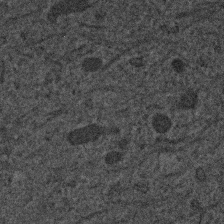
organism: Human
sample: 1205lu cells